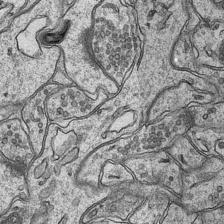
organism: Mouse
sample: CA1 Hippocampus